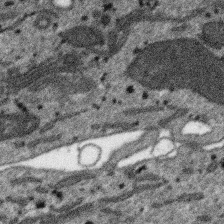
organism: Human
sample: Lung epithelial cells infected with SARS-CoV-2